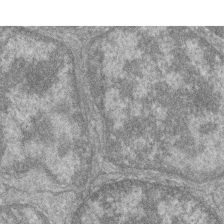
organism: Zebrafish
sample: Cilia; retinal pigment epithelium